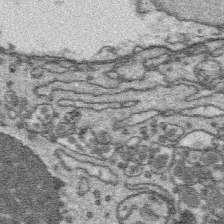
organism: Platynereis dumerilii